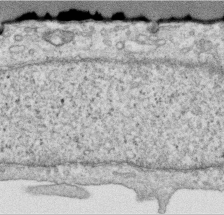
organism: Human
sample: Centriole in RPE cells